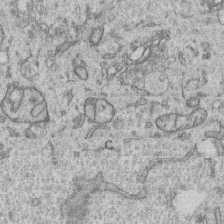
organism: Human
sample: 1205lu cells